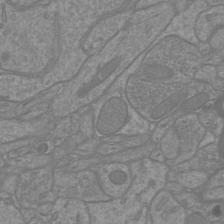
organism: Mouse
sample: Cortical neurons